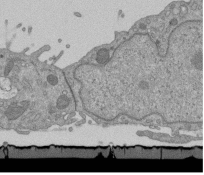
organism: Mouse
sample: ED-1 cell nuclei; centrioles